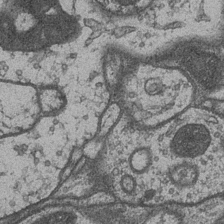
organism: Drosophila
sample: Optic medulla